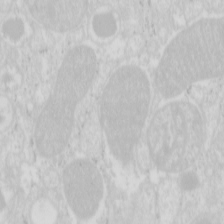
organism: Mouse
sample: Pancreas